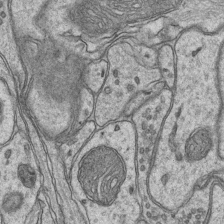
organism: Mouse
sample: CA1 Hippocampus